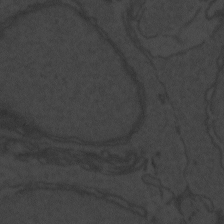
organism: Zebrafish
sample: Macrophage infected with Toxoplasma gondii